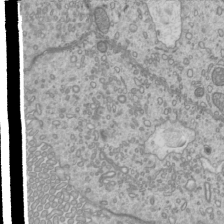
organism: Mouse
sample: Cilia; mouse epididymis